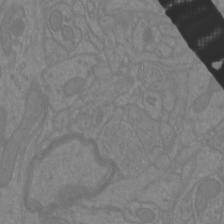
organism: Mouse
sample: Cortical neurons